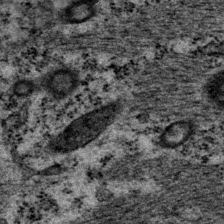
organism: P. pacificus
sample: Pharynx